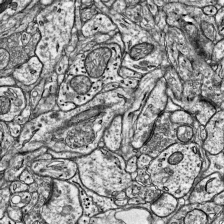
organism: Mouse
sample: Visual Cortex